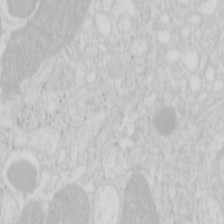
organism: Mouse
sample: Pancreas